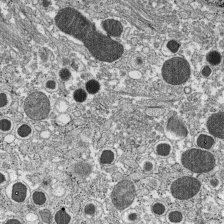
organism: C57BL Mouse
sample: Pancreatic islet